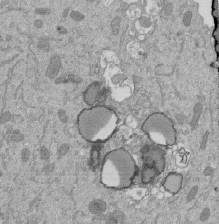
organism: Mouse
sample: ED-1 cell nuclei; centrioles